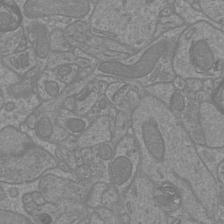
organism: Mouse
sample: Cortical neurons